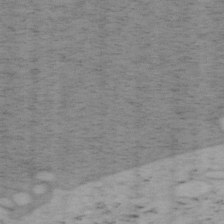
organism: Mouse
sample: OT-I killer T cells with ID8 ovarian cancer cells